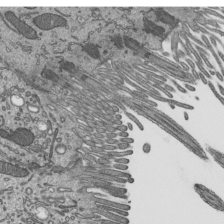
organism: Mouse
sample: Mouse epididymis efferent ductule cilia